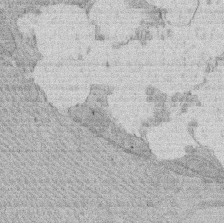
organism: Rat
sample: Salivary granule